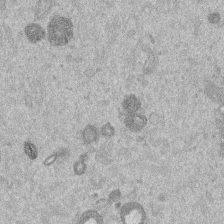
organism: Mouse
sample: Dividing mouse embryo 1 cell stage